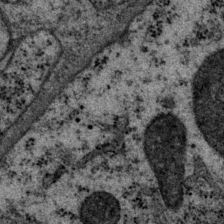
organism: P. pacificus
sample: Pharynx